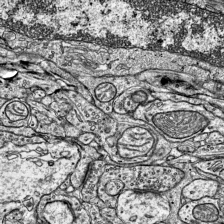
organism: Mouse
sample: Visual Cortex